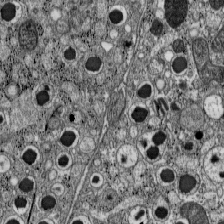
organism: C57BL Mouse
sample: Pancreatic islet